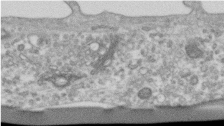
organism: Human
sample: Centriole in RPE cells